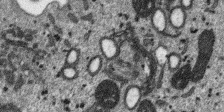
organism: Human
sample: Lung epithelial cells infected with SARS-CoV-2